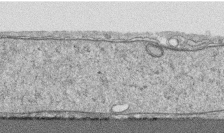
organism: Human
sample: CRL-1474